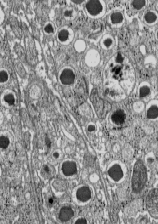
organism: C57BL Mouse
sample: Pancreatic islet